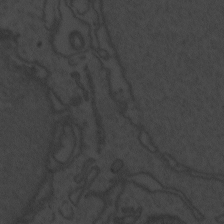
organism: Zebrafish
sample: Macrophage infected with Toxoplasma gondii